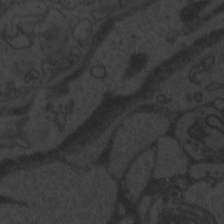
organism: Zebrafish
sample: Macrophage infected with Toxoplasma gondii